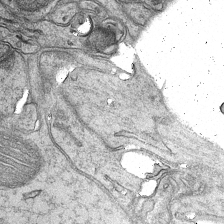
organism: Mouse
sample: CA1 Hippocampus